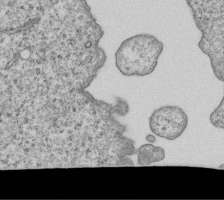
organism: Human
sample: MDA-MB-231 cells